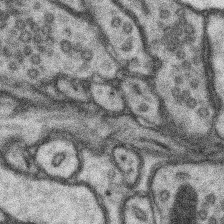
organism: Mouse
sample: Somatosensory cortex neuropil